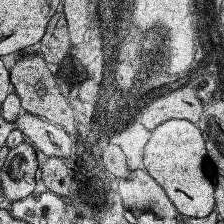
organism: Human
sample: Temporal Lobe